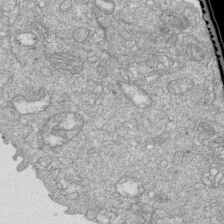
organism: Human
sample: HeLa cell HIV synapse